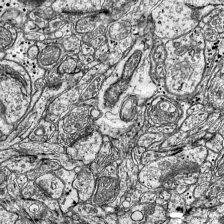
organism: Mouse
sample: Visual Cortex